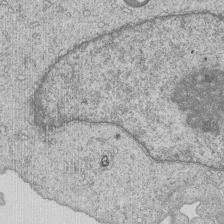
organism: Human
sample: MDA-MB-231 cells